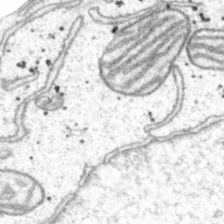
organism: Human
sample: HeLa cells